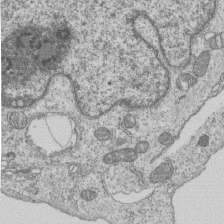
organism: Human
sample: MDA-MB-231 cells